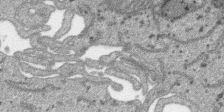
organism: Human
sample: Lung epithelial cells infected with SARS-CoV-2